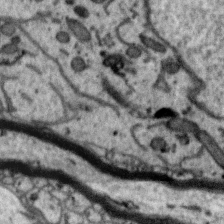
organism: Zebra finch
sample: Brain